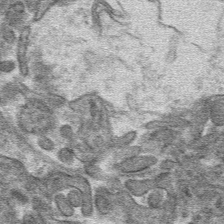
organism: Mouse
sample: Mouse hepatocytes